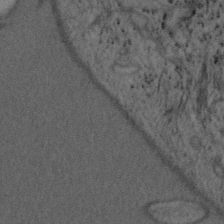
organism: Human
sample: HeLa cells